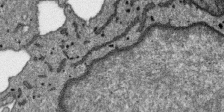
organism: Human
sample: Lung epithelial cells, uninfected (mock) control